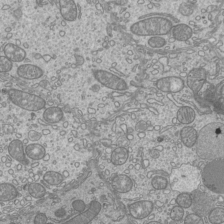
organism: Mouse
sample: Cilia; mouse epididymis